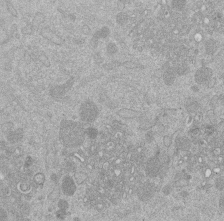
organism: Mouse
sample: Dividing mouse embryo 1 cell stage